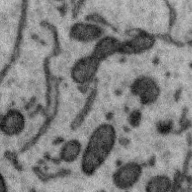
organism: Zebra finch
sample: Brain